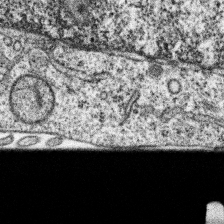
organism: Human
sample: HeLa cells